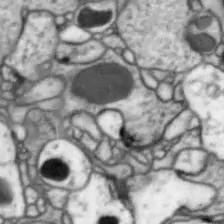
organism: Drosophila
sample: Optic lobe